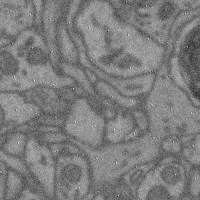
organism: Mouse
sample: Cerebral cortex